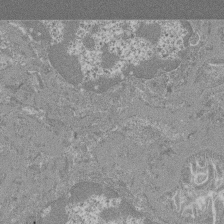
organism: Mouse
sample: Glomerulus